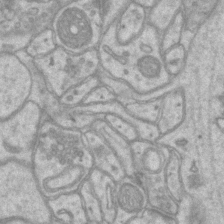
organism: Mouse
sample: CA1 Hippocampus